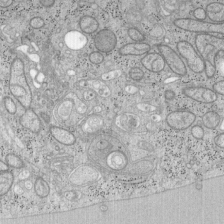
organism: Mouse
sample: OT-I killer T cells with ID8 ovarian cancer cells